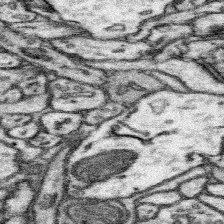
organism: Mouse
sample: Somatosensory cortex neuropil